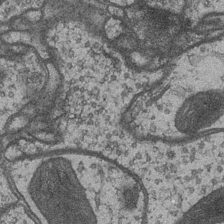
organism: Drosophila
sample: Optic medulla